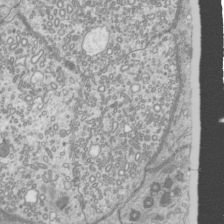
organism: Mouse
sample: Cilia; mouse epididymis